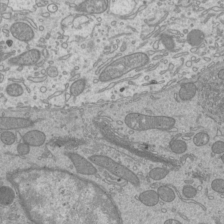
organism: Mouse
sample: Cilia; mouse epididymis